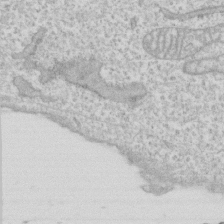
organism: Human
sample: CRL-1474